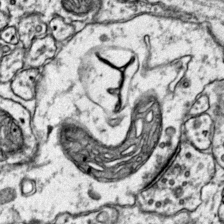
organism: Mouse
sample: Primary visual cortex